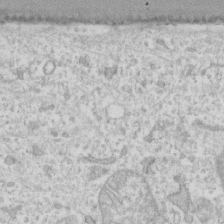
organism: Human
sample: Fibroblast cells